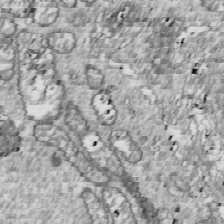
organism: Drosophila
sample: Cell division; meiosis; drosophila spermatocytes